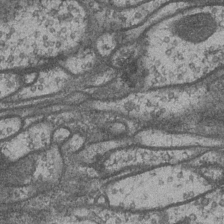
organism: Drosophila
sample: Optic medulla